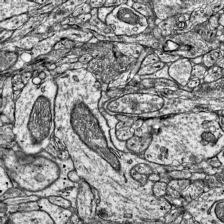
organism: Mouse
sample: Visual Cortex